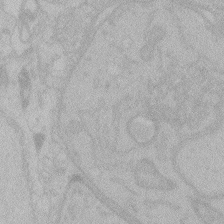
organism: Zebrafish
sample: Macrophage infected with Toxoplasma gondii